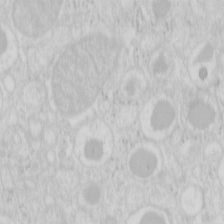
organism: Mouse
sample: Pancreas